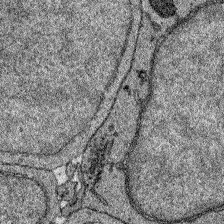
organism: Zebrafish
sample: Larval olfactory bulb